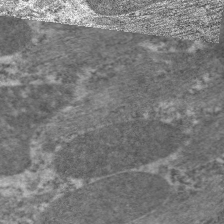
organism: C. elegans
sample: Pharynx